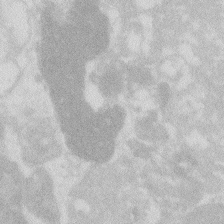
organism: Zebrafish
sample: Macrophage